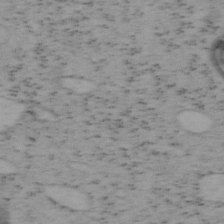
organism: Mouse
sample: OT-I killer T cells with ID8 ovarian cancer cells